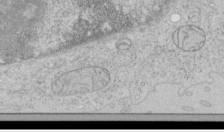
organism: Human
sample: Mitochondria in HCT116 cells